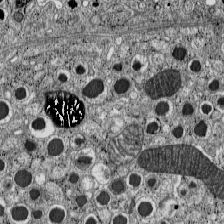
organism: C57BL Mouse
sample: Pancreatic islet